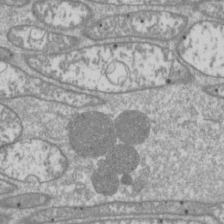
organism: Drosophila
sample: Cell division; meiosis; drosophila spermatocytes